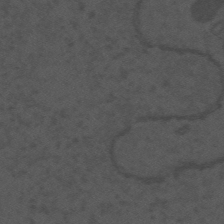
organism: Mouse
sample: Suprachiasmatic nucleus